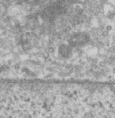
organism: Human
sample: Centriole in RPE cells